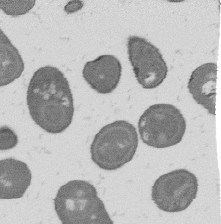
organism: B. subtilis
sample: Bacterial spore